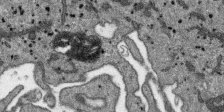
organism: Human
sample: Lung epithelial cells, uninfected (mock) control